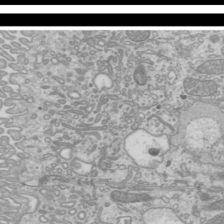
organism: Mouse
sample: Cilia; mouse epididymis